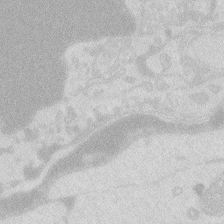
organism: Zebrafish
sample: Macrophage